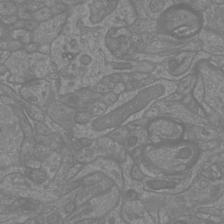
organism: Mouse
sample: Cortical neurons